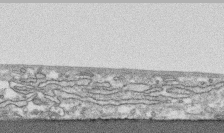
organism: Human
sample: CRL-1474